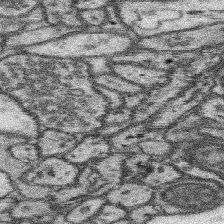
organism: Mouse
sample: Somatosensory cortex neuropil